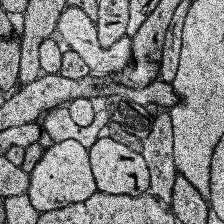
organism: Human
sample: Temporal Lobe